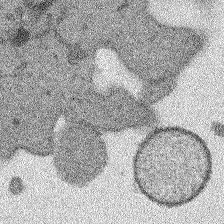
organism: Human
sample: HeLa cells